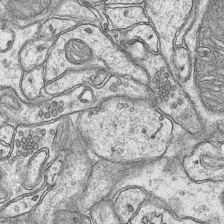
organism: Mouse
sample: CA1 Hippocampus